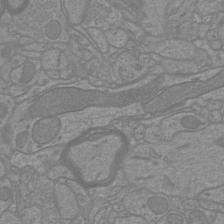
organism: Mouse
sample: Cortical neurons